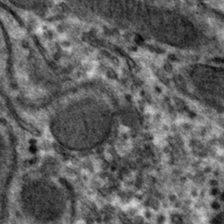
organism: Mouse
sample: Mouse hepatocytes